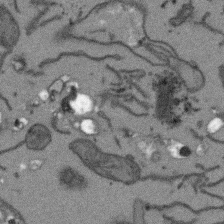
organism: Arabidopsis thaliana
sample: Root tip